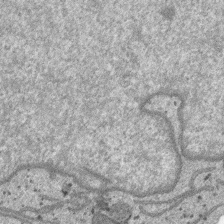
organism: Human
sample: Lung epithelial cells infected with SARS-CoV-2